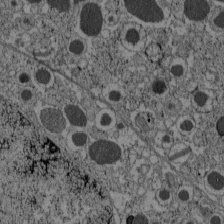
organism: C57BL Mouse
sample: Pancreatic islet